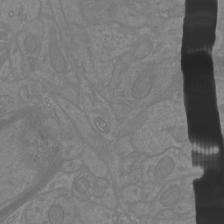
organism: Mouse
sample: Cortical neurons